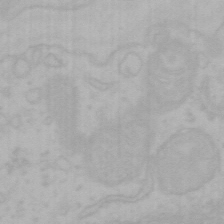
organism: Mouse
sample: Choroid plexus